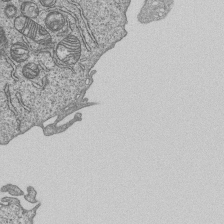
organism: Human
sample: MDA-MB-231 cells